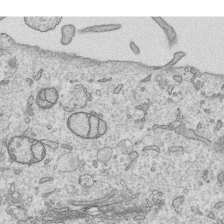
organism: Human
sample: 1205lu cells